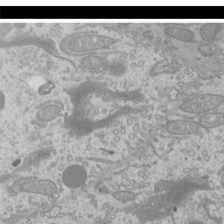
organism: Mouse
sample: Cilia; mouse epididymis